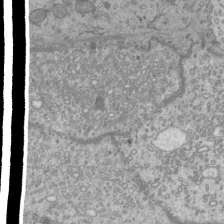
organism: Mouse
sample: Cilia; mouse epididymis